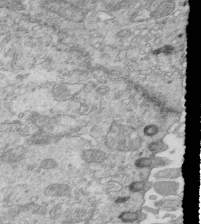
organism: Mouse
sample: Multiciliated cells